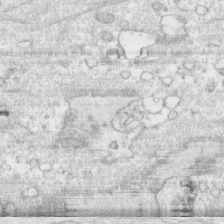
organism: Human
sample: CRL-1474